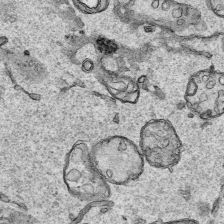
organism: Human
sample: Mitochondria in HCT116 cells